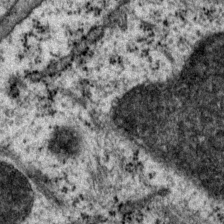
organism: P. pacificus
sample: Pharynx